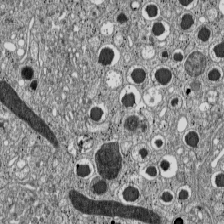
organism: C57BL Mouse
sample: Pancreatic islet